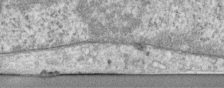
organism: Human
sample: Centriole in RPE cells